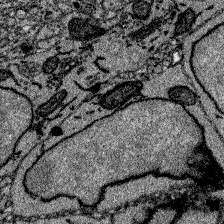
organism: Zebrafish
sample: Larval olfactory bulb